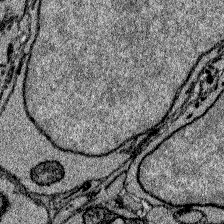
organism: Zebrafish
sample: Larval olfactory bulb